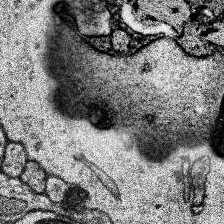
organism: Human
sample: Temporal Lobe